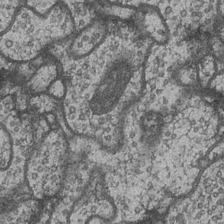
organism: Drosophila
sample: Optic medulla